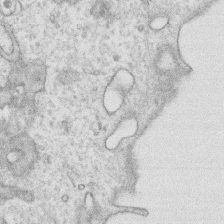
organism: Human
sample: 1205lu cells